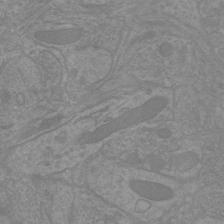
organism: Mouse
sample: Cortical neurons